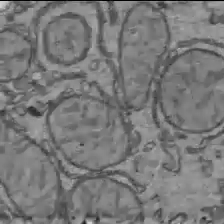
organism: C57BL Mouse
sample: Liver